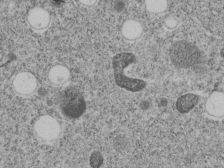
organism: C. elegans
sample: C. elegans embryo early stage